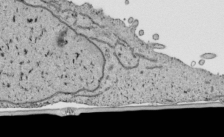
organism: Human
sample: Mitochondria in HCT116 cells